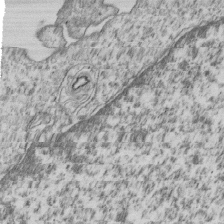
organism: Human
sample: MDA-MB-231 cells